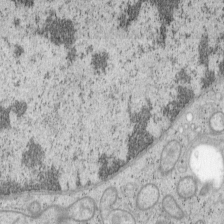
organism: Mouse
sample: OT-I killer T cells with ID8 ovarian cancer cells